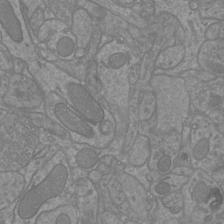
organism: Mouse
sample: Cortical neurons